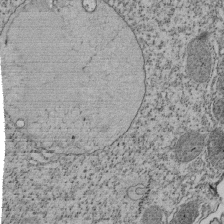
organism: Tetrahymena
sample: Cilia in tetrahymena